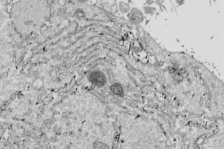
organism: Drosophila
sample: Cell division; meiosis; drosophila spermatocytes